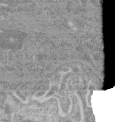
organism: Mouse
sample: Glomerulus